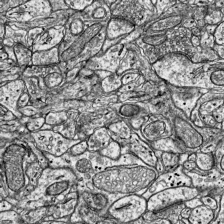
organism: Mouse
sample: Visual Cortex